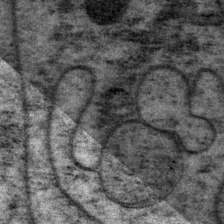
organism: P. pacificus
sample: Pharynx